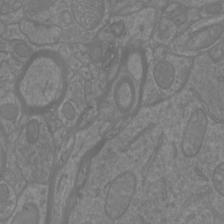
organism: Mouse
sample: Cortical neurons